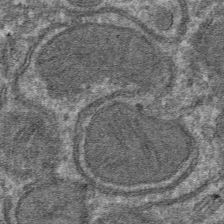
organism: Mouse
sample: Mouse hepatocytes